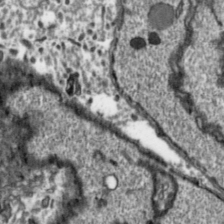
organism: Toxoplasma gondii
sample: Parasites in a vacuole inside a host cell